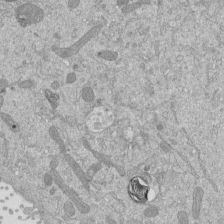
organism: Mouse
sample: ED-1 cell nuclei; centrioles